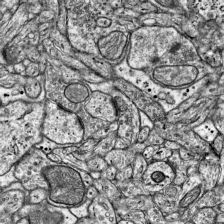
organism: Mouse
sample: Visual Cortex